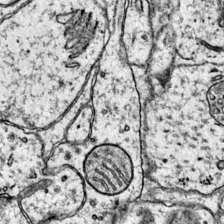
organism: Mouse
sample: Primary visual cortex